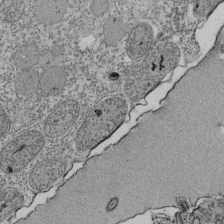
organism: Tetrahymena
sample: Cilia in tetrahymena